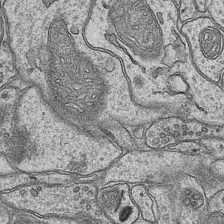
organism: Mouse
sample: CA1 Hippocampus